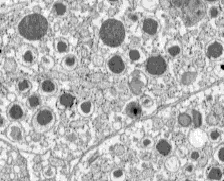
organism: C57BL Mouse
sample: Pancreatic islet